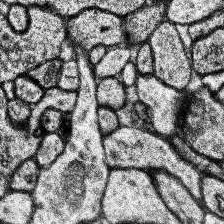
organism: Human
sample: Temporal Lobe